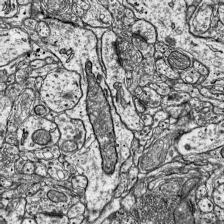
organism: Mouse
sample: Visual Cortex